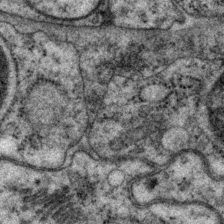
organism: P. pacificus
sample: Pharynx